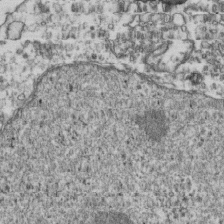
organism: Human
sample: Activated Jurkat CD4+ T cells